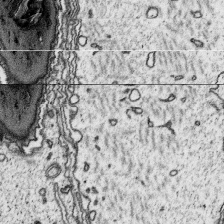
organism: Platynereis dumerilii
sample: Parapodia